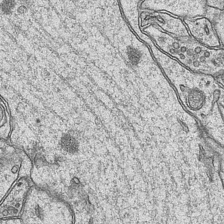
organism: Mouse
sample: CA1 Hippocampus